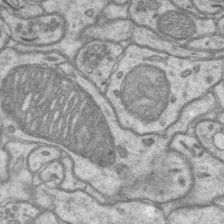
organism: Mouse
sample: CA1 Hippocampus